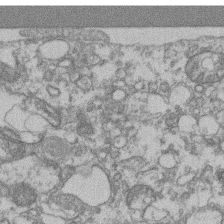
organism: Mouse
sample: T cell stromal cell synapse